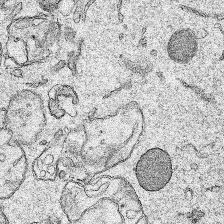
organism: Human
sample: Mitochondria in HCT116 cells